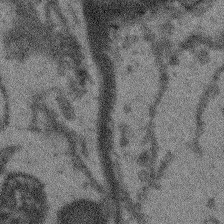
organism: Arabidopsis thaliana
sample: Root tip